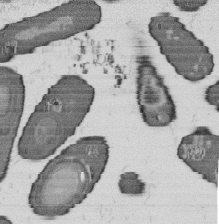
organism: B. subtilis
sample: Bacterial spore